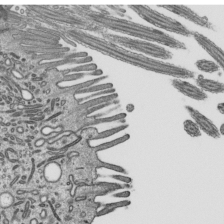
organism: Mouse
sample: Mouse epididymis efferent ductule cilia